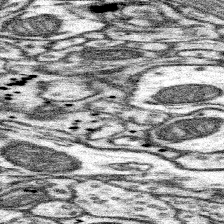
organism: Mouse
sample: Somatosensory cortex neuropil